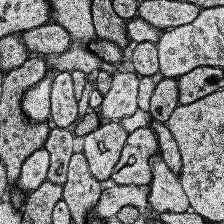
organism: Human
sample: Temporal Lobe